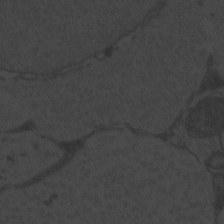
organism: Zebrafish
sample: Macrophage infected with Toxoplasma gondii